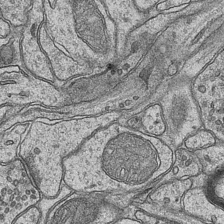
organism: Mouse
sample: CA1 Hippocampus